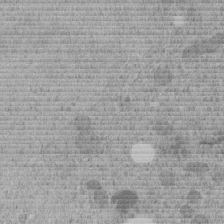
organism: C. elegans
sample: C. elegans embryo early stage